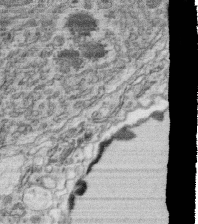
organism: C. elegans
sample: C. elegans oocyte; sperm cells